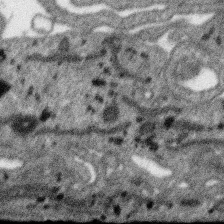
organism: Human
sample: Lung epithelial cells infected with SARS-CoV-2